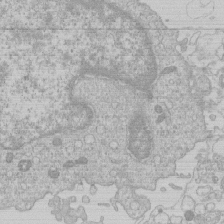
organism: Human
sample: Macrophage cells